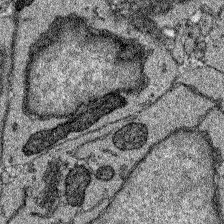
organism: Zebrafish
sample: Larval olfactory bulb